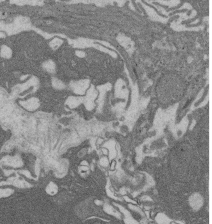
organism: Rat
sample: Salivary granule